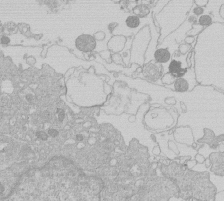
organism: Human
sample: Macrophage cells